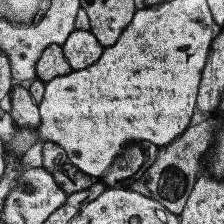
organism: Human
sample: Temporal Lobe